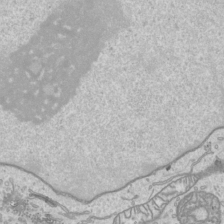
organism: Human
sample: Mitochondria in HCT116 cells